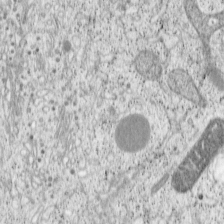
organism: African green monkey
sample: COS-7 cells